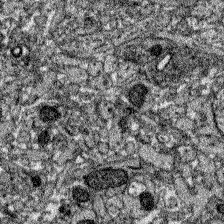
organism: Zebrafish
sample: Larval olfactory bulb